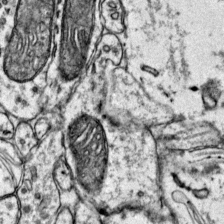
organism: Mouse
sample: Primary visual cortex